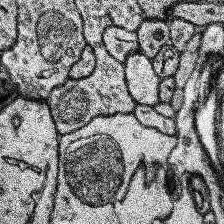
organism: Human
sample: Temporal Lobe